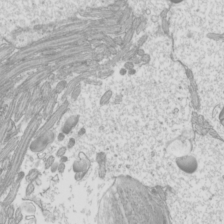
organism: Mouse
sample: Cilia; mouse epididymis